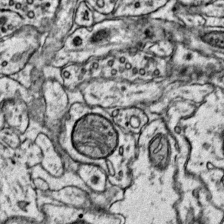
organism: Mouse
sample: Primary visual cortex